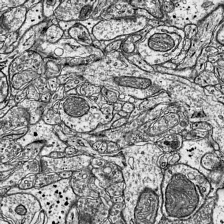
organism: Mouse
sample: Visual Cortex